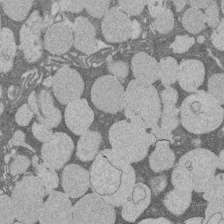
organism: Rat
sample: Salivary granule